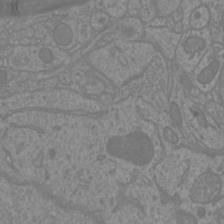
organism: Mouse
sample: Cortical neurons